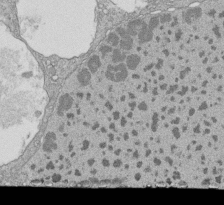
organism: Tetrahymena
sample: Cilia in tetrahymena